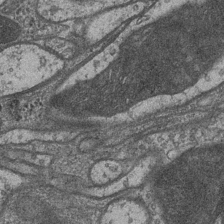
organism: Drosophila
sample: Optic medulla